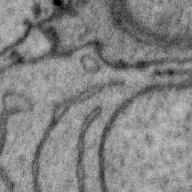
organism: Zebra finch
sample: Brain